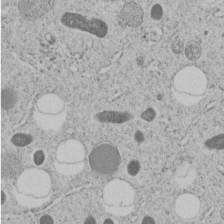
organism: C. elegans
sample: C. elegans embryo early stage